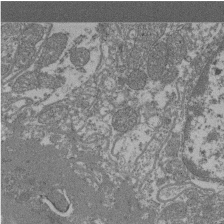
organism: Mouse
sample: Glomerulus